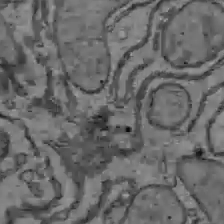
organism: C57BL Mouse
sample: Liver